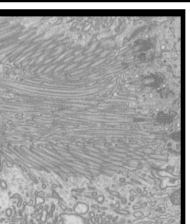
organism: Mouse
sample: Cilia; mouse epididymis